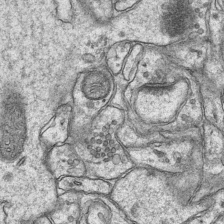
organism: Mouse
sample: CA1 Hippocampus